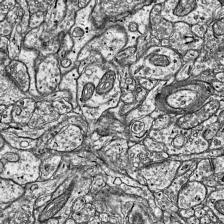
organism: Mouse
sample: Visual Cortex